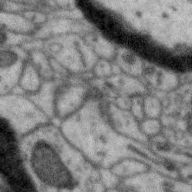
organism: Zebra finch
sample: Brain